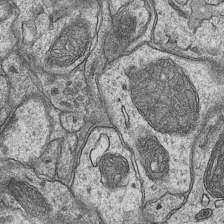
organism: Mouse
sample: CA1 Hippocampus